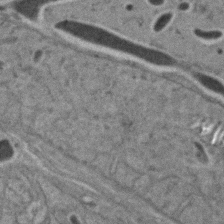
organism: C. elegans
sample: C. elegans embryo